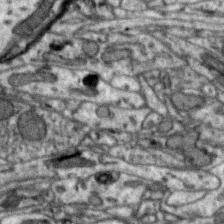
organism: Zebra finch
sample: Brain